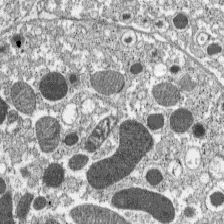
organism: C57BL Mouse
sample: Pancreatic islet